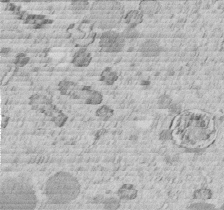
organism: C. elegans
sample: C. elegans embryo early stage